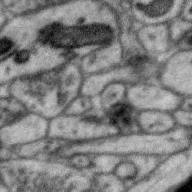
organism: Zebra finch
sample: Brain